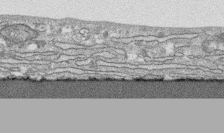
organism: Human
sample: CRL-1474